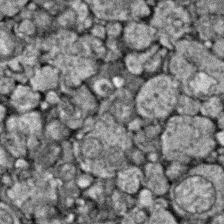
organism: Zebrafish